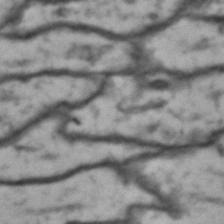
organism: Drosophila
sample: Brain